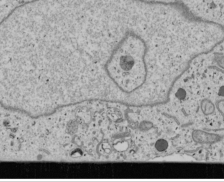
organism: Human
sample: Mitochondria in U2OS cells